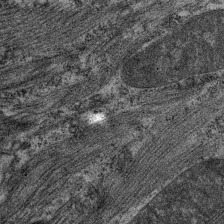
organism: C. elegans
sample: Pharynx